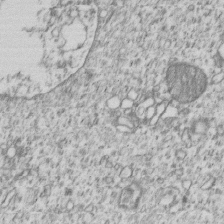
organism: Human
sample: MDA-MB-231 cells